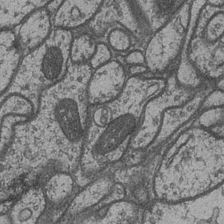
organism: Drosophila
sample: Optic medulla